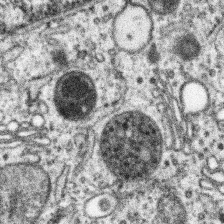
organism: Human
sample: HeLa cells